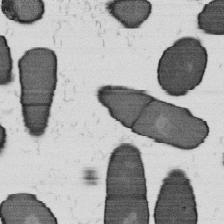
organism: B. subtilis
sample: Bacterial spore